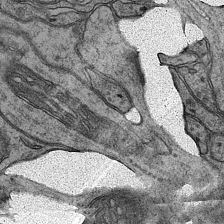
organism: Mouse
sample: CA1 Hippocampus